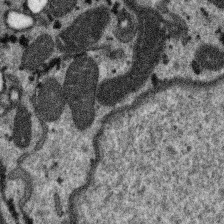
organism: Human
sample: Lung epithelial cells infected with SARS-CoV-2